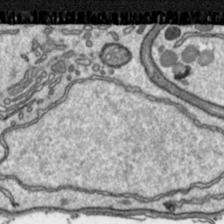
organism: Toxoplasma gondii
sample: Parasites in a vacuole inside a host cell